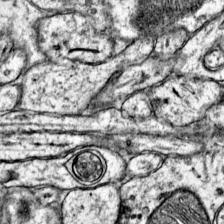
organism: Mouse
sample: Primary visual cortex